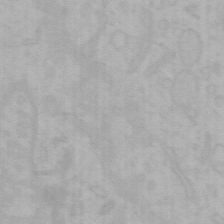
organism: Mouse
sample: Choroid plexus